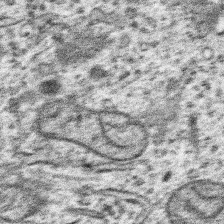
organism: Human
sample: HeLa cells